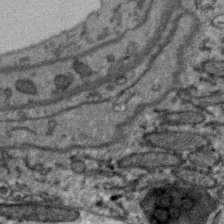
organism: Zebra finch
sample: Brain